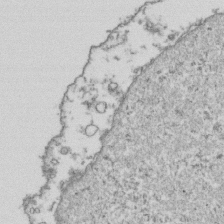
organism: Human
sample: Activated Jurkat CD4+ T cells